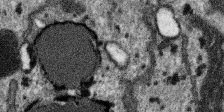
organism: Human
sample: Lung epithelial cells infected with SARS-CoV-2